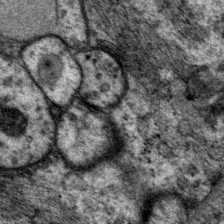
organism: P. pacificus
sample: Pharynx